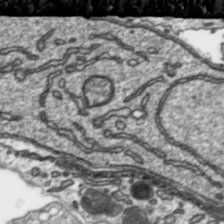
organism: Toxoplasma gondii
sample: Parasites in a vacuole inside a host cell